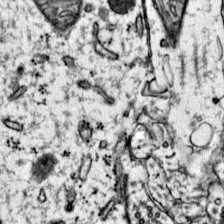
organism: Mouse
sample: Primary visual cortex